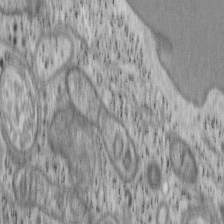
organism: Human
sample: HeLa cells